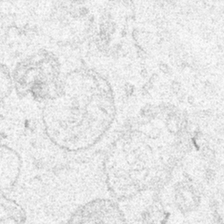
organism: Human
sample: Mitochondria in HCT116 cells